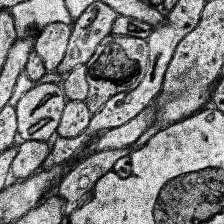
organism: Human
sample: Temporal Lobe